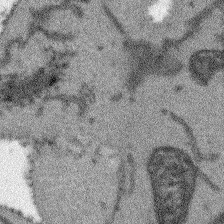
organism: Arabidopsis thaliana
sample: Root tip